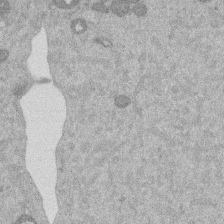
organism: Mouse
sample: Dividing mouse embryo 1 cell stage